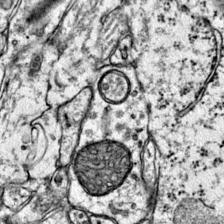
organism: Mouse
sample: Primary visual cortex